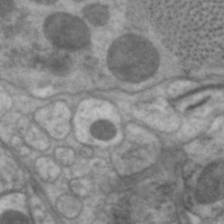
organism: C. elegans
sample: Pharynx